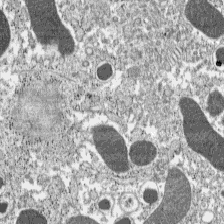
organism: C57BL Mouse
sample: Pancreatic islet